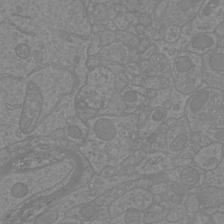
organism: Mouse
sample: Cortical neurons